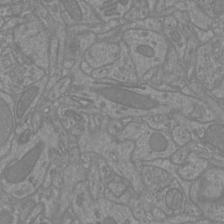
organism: Mouse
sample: Cortical neurons